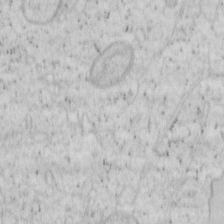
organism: Human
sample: HeLa cells